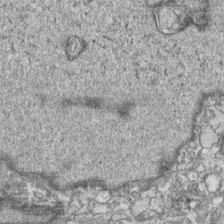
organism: Human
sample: CRL-1474